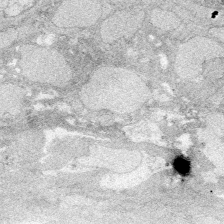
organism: Zebrafish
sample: Whole-Brain